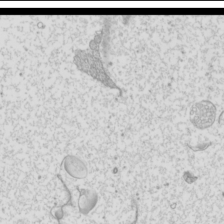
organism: Mouse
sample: Cilia; mouse epididymis